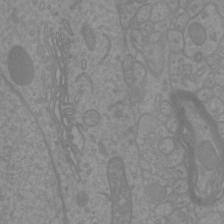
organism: Mouse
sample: Cortical neurons